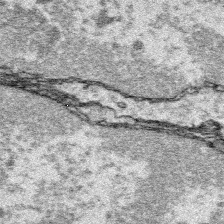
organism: Platynereis dumerilii